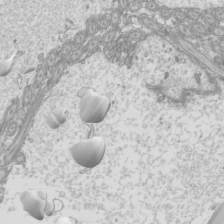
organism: Mouse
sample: Cilia; mouse epididymis